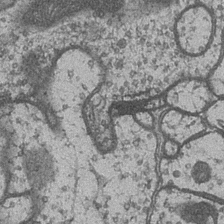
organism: Drosophila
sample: Optic medulla